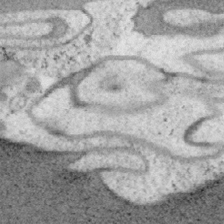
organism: Mouse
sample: OT-I killer T cells with ID8 ovarian cancer cells